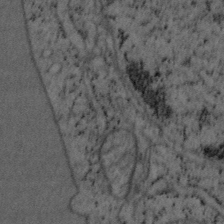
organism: Human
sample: HeLa cells